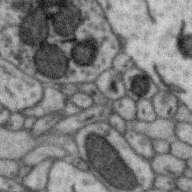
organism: Zebra finch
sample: Brain